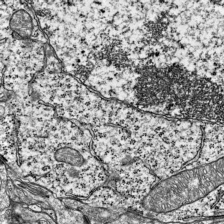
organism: Mouse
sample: Visual Cortex